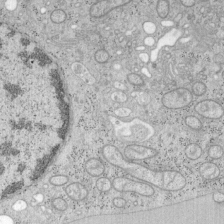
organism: Mouse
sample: OT-I killer T cells with ID8 ovarian cancer cells